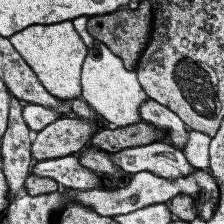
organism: Human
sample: Temporal Lobe